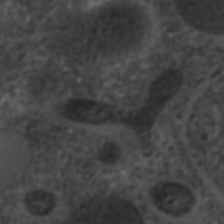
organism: C. elegans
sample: C. elegans embryo